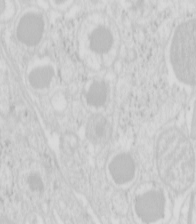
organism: Mouse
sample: Pancreas